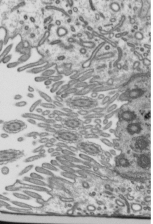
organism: Mouse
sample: Mouse epididymis efferent ductule cilia